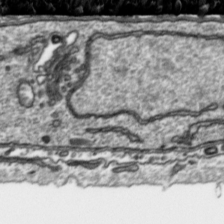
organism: Toxoplasma gondii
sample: Parasites in a vacuole inside a host cell